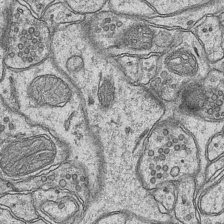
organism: Mouse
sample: CA1 Hippocampus